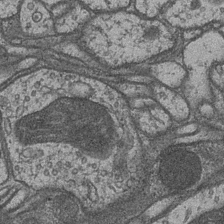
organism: Drosophila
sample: Optic medulla